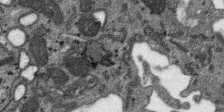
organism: Human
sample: Lung epithelial cells infected with SARS-CoV-2